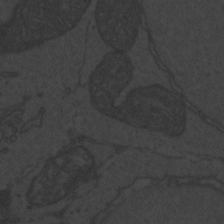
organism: Zebrafish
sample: Macrophage infected with Toxoplasma gondii